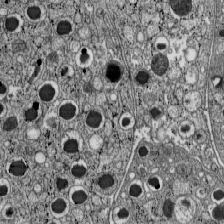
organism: C57BL Mouse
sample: Pancreatic islet